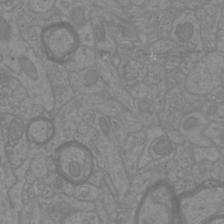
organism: Mouse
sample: Cortical neurons